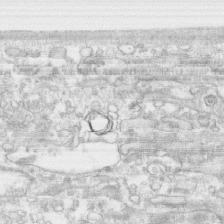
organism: Human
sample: CRL-1474